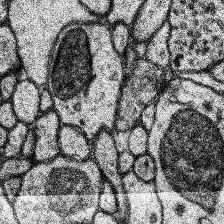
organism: Human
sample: Temporal Lobe